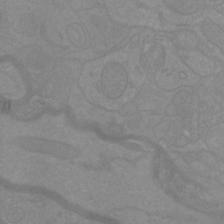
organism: Mouse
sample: Cortical neurons